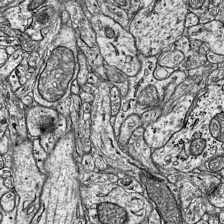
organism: Mouse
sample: Visual Cortex